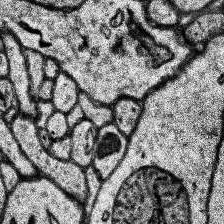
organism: Human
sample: Temporal Lobe